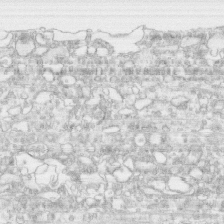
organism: Human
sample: CRL-1474